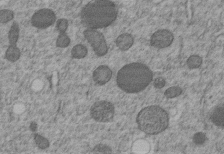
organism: C. elegans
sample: C. elegans embryo early stage